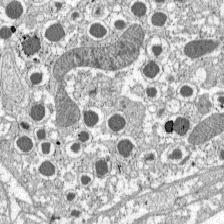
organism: C57BL Mouse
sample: Pancreatic islet